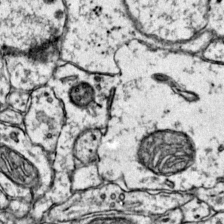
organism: Mouse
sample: Primary visual cortex